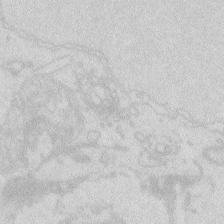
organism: Zebrafish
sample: Macrophage